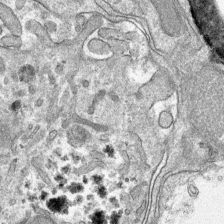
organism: Mouse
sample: Mouse hepatocytes